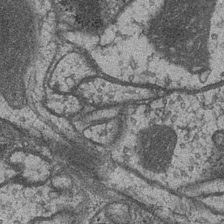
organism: Drosophila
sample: Optic medulla